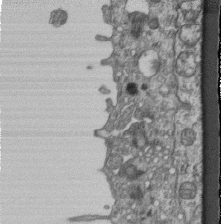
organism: Mouse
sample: Centriole in ependymal cells